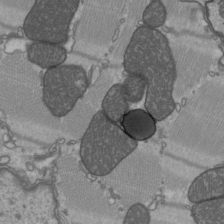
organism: C57BL Mouse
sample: Heart